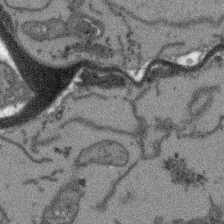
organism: Arabidopsis thaliana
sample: Root tip